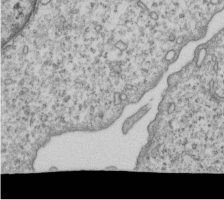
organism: Human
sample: MDA-MB-231 cells